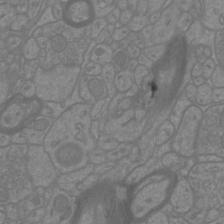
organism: Mouse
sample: Cortical neurons